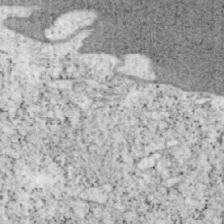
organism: Mouse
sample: OT-I killer T cells with ID8 ovarian cancer cells